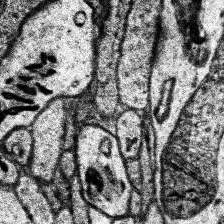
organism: Human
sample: Temporal Lobe